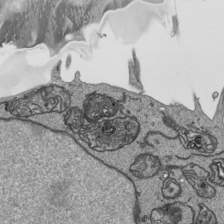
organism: Human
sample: Mitochondria in HCT116 cells